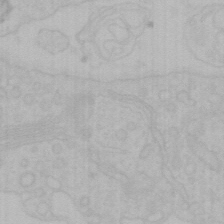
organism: Mouse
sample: Choroid plexus